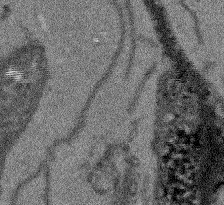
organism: Arabidopsis thaliana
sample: Root tip